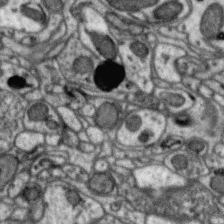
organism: Zebra finch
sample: Brain